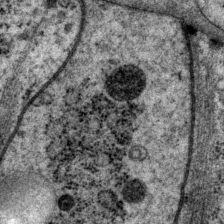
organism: P. pacificus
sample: Pharynx